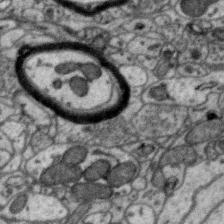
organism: Zebra finch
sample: Brain